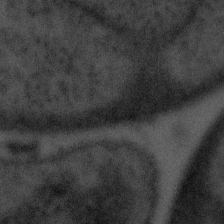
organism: Tuwongella immobilis